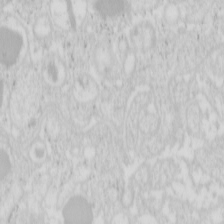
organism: Mouse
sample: Pancreas